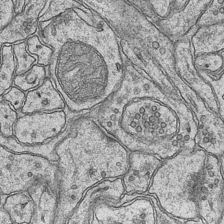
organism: Mouse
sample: CA1 Hippocampus